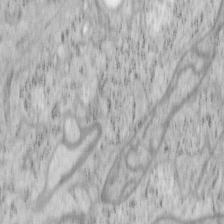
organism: Human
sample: HeLa cells